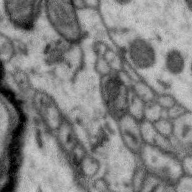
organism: Zebra finch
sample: Brain